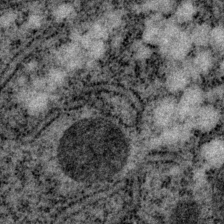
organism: P. pacificus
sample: Pharynx